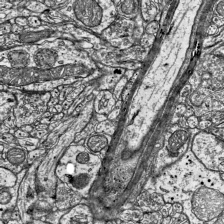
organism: Mouse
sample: Visual Cortex